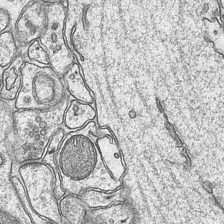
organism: Mouse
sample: CA1 Hippocampus